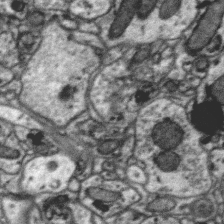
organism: Zebra finch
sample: Brain